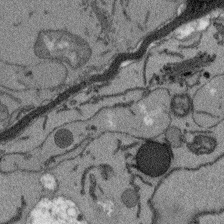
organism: Arabidopsis thaliana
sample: Root tip